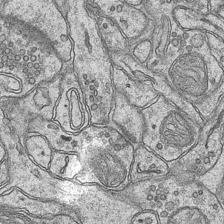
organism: Mouse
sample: CA1 Hippocampus